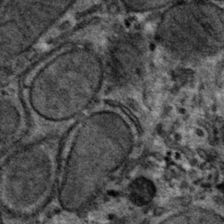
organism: Mouse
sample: Mouse hepatocytes